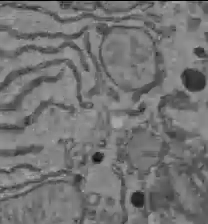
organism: C57BL Mouse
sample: Liver